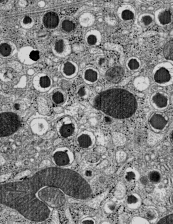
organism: C57BL Mouse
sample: Pancreatic islet